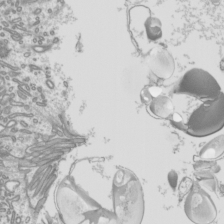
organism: Mouse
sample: Cilia; mouse epididymis